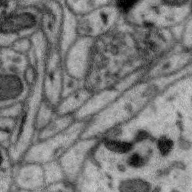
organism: Zebra finch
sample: Brain